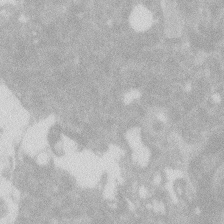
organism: Zebrafish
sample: Macrophage